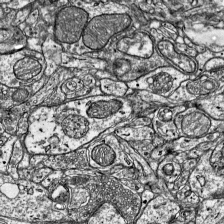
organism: Mouse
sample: Visual Cortex